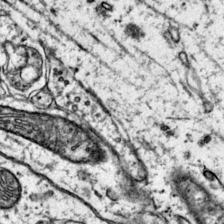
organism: Mouse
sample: Primary visual cortex